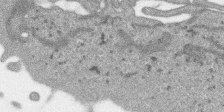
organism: Human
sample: Lung epithelial cells infected with SARS-CoV-2